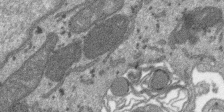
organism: Human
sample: Lung epithelial cells infected with SARS-CoV-2